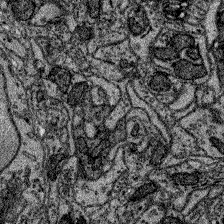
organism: Zebrafish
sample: Larval olfactory bulb